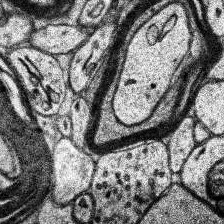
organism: Human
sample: Temporal Lobe